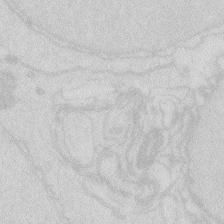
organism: Zebrafish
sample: Macrophage